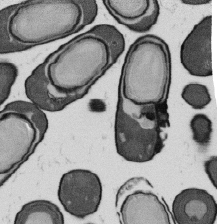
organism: B. subtilis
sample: Bacterial spore